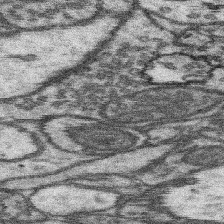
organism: Mouse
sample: Somatosensory cortex neuropil